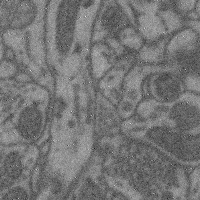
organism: Mouse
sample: Cerebral cortex